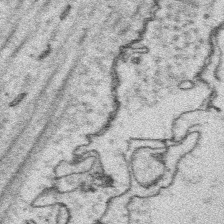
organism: Platynereis dumerilii